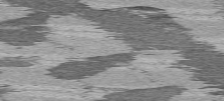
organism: C57BL Mouse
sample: Heart